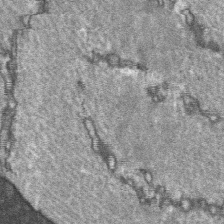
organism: C57BL Mouse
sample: Soleus